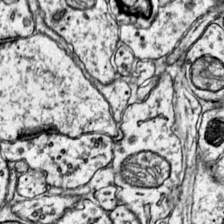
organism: Mouse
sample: Primary visual cortex